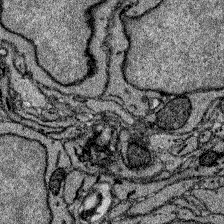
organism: Zebrafish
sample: Larval olfactory bulb